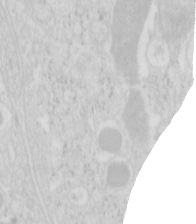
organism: Mouse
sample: Pancreas